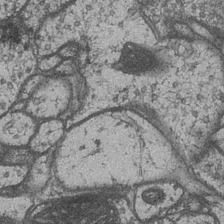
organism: Drosophila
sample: Optic medulla